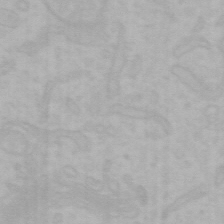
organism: Mouse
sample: Choroid plexus